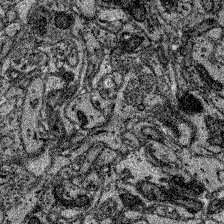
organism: Zebrafish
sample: Larval olfactory bulb